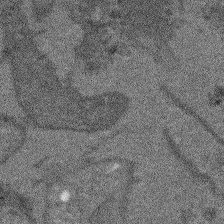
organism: Arabidopsis thaliana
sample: Root tip